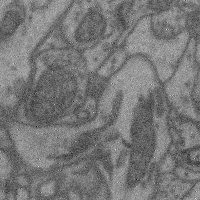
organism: Mouse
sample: Cerebral cortex